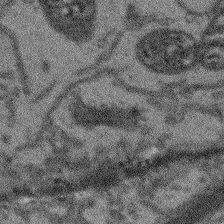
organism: Arabidopsis thaliana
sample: Root tip